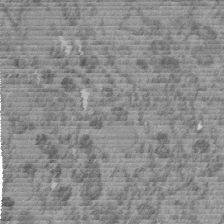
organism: C. elegans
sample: C. elegans embryo early stage